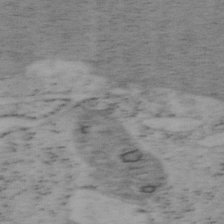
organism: Mouse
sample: OT-I killer T cells with ID8 ovarian cancer cells